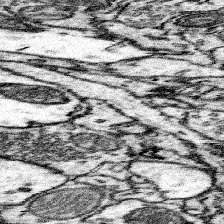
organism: Mouse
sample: Somatosensory cortex neuropil